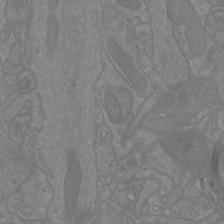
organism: Mouse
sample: Cortical neurons